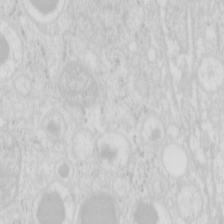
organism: Mouse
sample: Pancreas